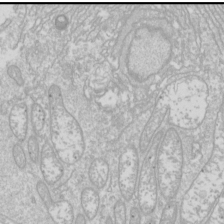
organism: Drosophila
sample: Cell division; meiosis; drosophila spermatocytes